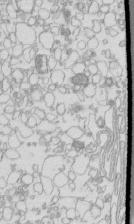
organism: Mouse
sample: Macrophages